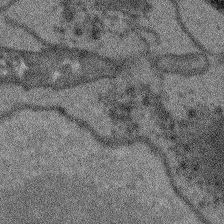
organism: Arabidopsis thaliana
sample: Root tip